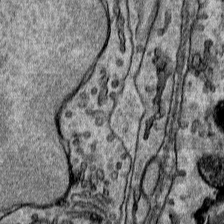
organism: Mouse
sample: Mouse Salivary gland